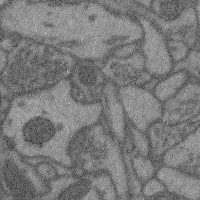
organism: Mouse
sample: Cerebral cortex